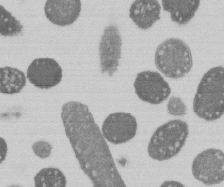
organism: E. coli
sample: Bacterial nucleoid